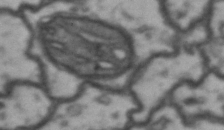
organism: Drosophila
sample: Brain